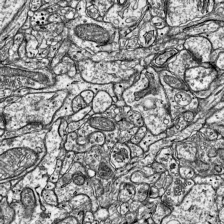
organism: Mouse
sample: Visual Cortex